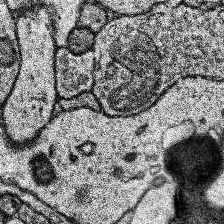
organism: Human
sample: Temporal Lobe